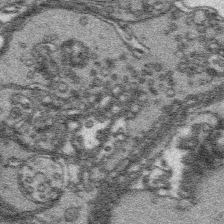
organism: Platynereis dumerilii